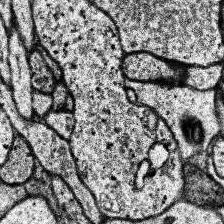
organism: Human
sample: Temporal Lobe